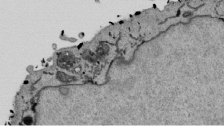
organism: Mouse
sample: ED-1 cell nuclei; centrioles